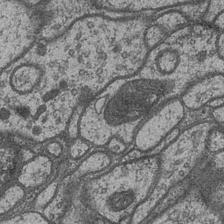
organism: Drosophila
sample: Optic medulla